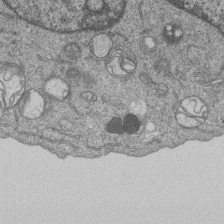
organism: Human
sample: MDA-MB-231 cells